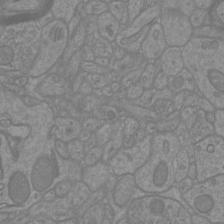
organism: Mouse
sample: Cortical neurons